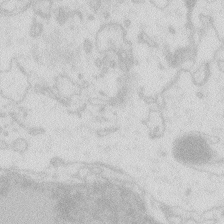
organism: Zebrafish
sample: Macrophage